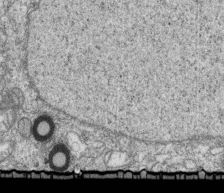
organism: Human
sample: HeLa cell HIV synapse